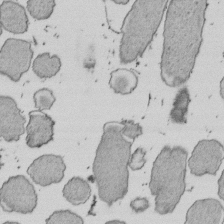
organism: E. coli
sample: Bacterial nucleoid